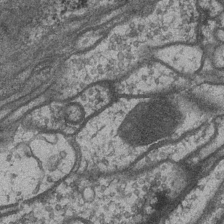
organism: Drosophila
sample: Optic medulla